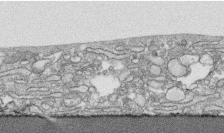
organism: Human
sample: CRL-1474